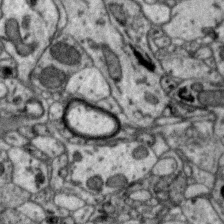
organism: Zebra finch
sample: Brain